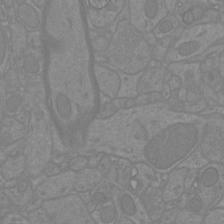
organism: Mouse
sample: Cortical neurons